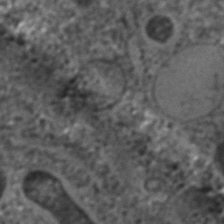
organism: C. elegans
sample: C. elegans embryo